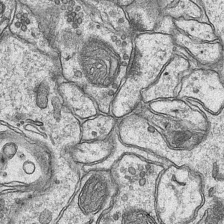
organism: Mouse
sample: CA1 Hippocampus